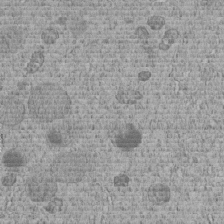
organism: C. elegans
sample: C. elegans embryo early stage